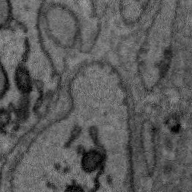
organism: Zebra finch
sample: Brain